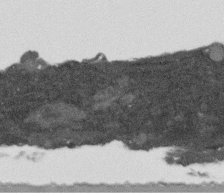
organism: Human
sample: Fibroblast cells